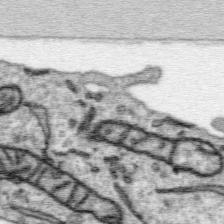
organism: Human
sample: HeLa cells